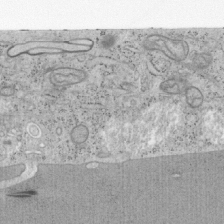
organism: Human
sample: HeLa cells